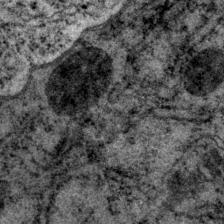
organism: P. pacificus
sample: Pharynx